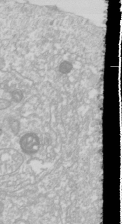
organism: Drosophila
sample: Cell division; meiosis; drosophila spermatocytes